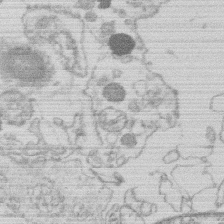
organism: Human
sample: Macrophage cells